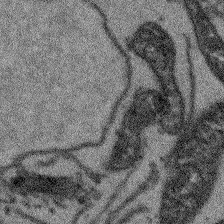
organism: Arabidopsis thaliana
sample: Root tip